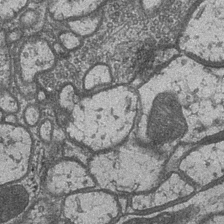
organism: Drosophila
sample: Optic medulla